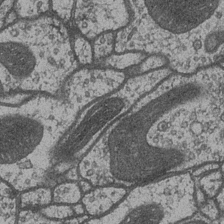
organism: Drosophila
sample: Optic medulla